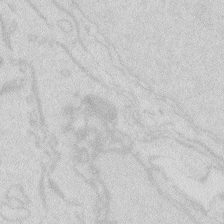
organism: Zebrafish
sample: Macrophage